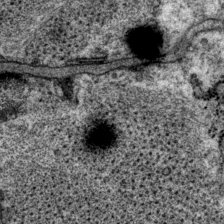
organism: P. pacificus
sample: Pharynx